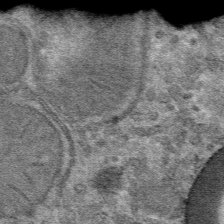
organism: Mouse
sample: Mouse hepatocytes